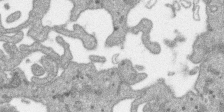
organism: Human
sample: Lung epithelial cells infected with SARS-CoV-2